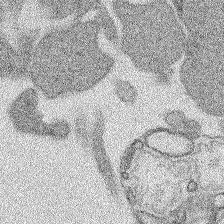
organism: Human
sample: HeLa cells